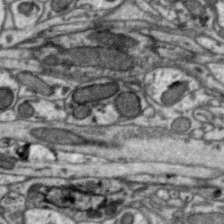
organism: Zebra finch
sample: Brain